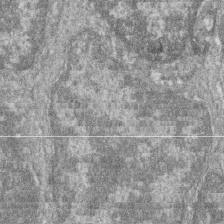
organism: Zebrafish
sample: Cilia; retinal pigment epithelium